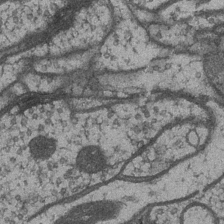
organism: Drosophila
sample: Optic medulla